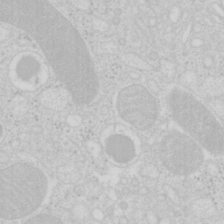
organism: Mouse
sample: Pancreas